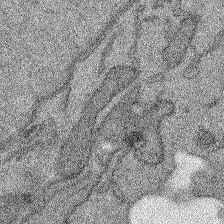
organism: Human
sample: HeLa cells